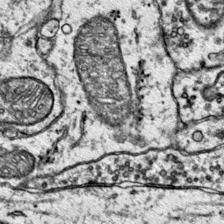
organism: Mouse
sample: Primary visual cortex